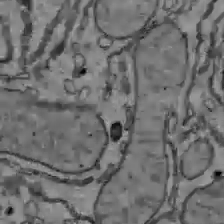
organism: C57BL Mouse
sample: Liver